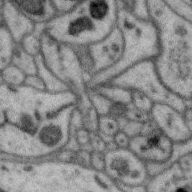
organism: Zebra finch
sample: Brain